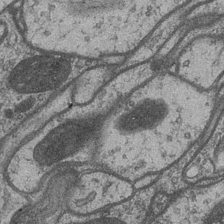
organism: Drosophila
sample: Optic medulla